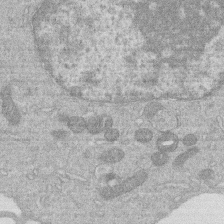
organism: Human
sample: Macrophage cells